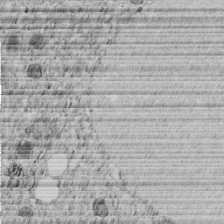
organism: C. elegans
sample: C. elegans embryo early stage